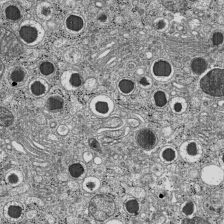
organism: C57BL Mouse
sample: Pancreatic islet